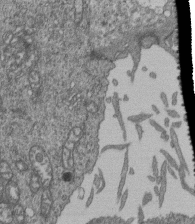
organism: Human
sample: Retinal organoid Rod and Cone cells